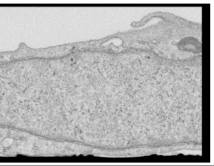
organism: Human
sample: Centriole in RPE cells